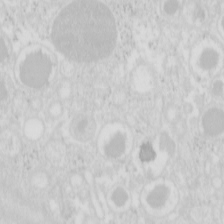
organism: Mouse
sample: Pancreas